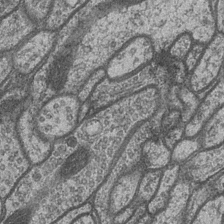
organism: Drosophila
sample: Optic medulla